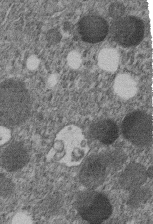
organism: C. elegans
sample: C. elegans embryo early stage